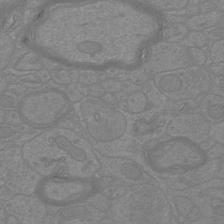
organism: Mouse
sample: Cortical neurons